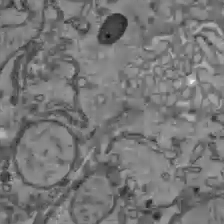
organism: C57BL Mouse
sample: Liver